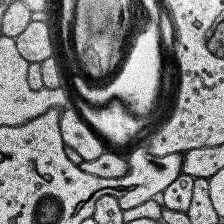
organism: Human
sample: Temporal Lobe